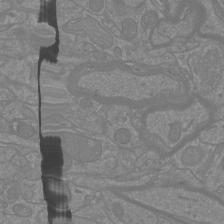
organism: Mouse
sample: Cortical neurons